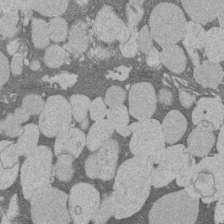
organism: Rat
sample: Salivary granule